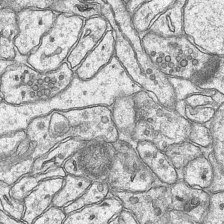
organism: Mouse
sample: CA1 Hippocampus